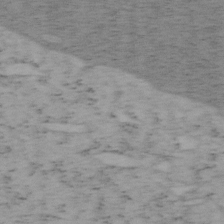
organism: Mouse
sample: OT-I killer T cells with ID8 ovarian cancer cells